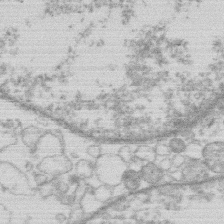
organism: Human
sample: Macrophage cells